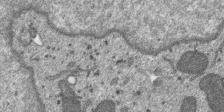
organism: Human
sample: Lung epithelial cells infected with SARS-CoV-2